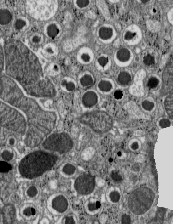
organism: C57BL Mouse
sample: Pancreatic islet